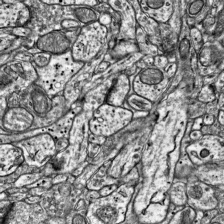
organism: Mouse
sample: Visual Cortex